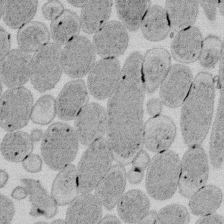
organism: E. coli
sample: Bacterial nucleoid